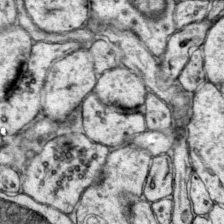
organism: Mouse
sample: Primary visual cortex